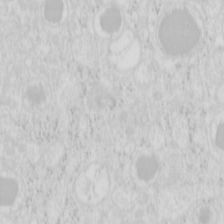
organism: Mouse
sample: Pancreas